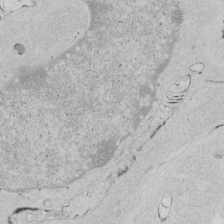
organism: Human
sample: Mitochondria in HCT116 cells